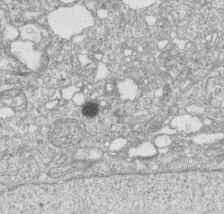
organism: Human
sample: HeLa cell HIV synapse